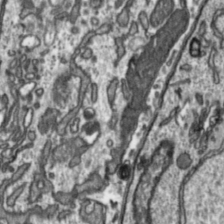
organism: Toxoplasma gondii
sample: Parasites in a vacuole inside a host cell